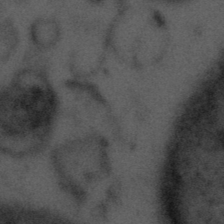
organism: Tuwongella immobilis